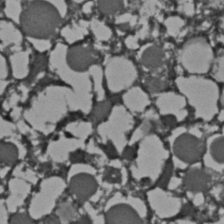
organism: C. elegans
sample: C. elegans embryo